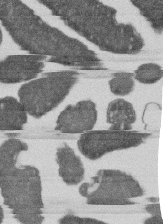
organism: E. coli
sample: Bacterial nucleoid